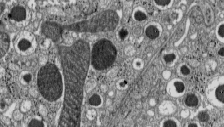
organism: C57BL Mouse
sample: Pancreatic islet